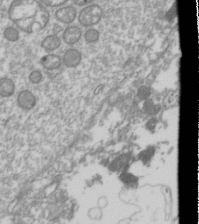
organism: Drosophila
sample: Cell division; meiosis; drosophila spermatocytes